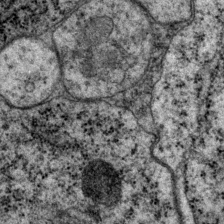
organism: P. pacificus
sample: Pharynx